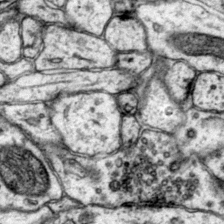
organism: Mouse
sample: Primary visual cortex